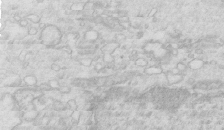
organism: Mouse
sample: Multiciliated cells